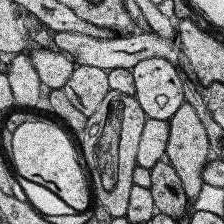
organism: Human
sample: Temporal Lobe